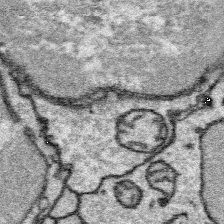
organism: Platynereis dumerilii